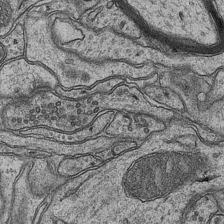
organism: Mouse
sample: CA1 Hippocampus